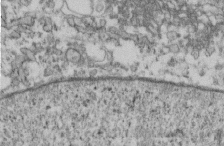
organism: Mouse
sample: Cilia; retinal pigment epithelium